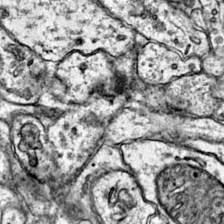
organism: Mouse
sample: Primary visual cortex